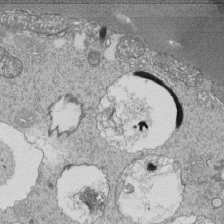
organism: Tetrahymena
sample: Cilia in tetrahymena